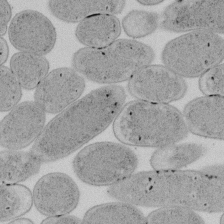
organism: E. coli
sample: Bacterial nucleoid